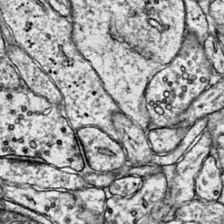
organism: Mouse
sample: Primary visual cortex